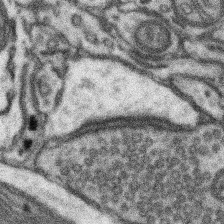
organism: Mouse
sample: Somatosensory cortex neuropil